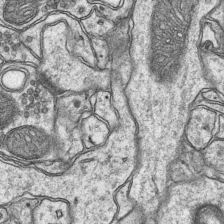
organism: Mouse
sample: CA1 Hippocampus